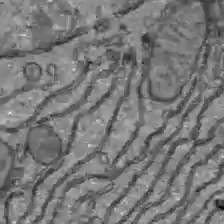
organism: C57BL Mouse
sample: Liver